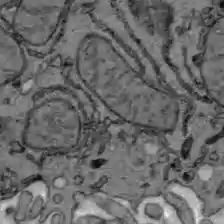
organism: C57BL Mouse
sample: Liver